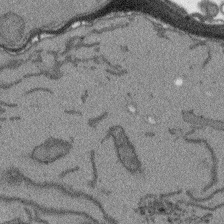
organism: Arabidopsis thaliana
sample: Root tip